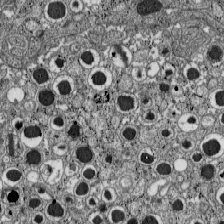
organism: C57BL Mouse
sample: Pancreatic islet